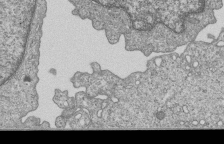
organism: Human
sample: MDA-MB-231 cells